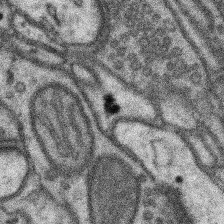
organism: Mouse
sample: Somatosensory cortex neuropil